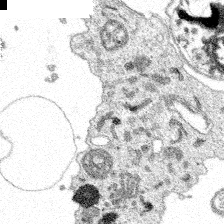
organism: Spongilla lacustris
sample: Multiple